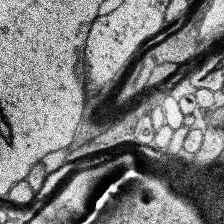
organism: Human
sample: Temporal Lobe